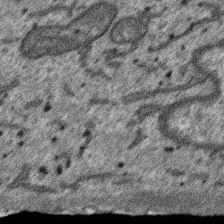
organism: Human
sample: Lung epithelial cells infected with SARS-CoV-2